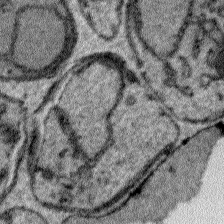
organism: Plasmodium falciparum